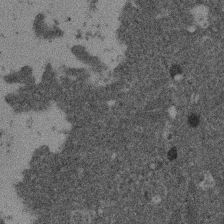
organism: Mouse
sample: Dividing mouse embryo 1 cell stage